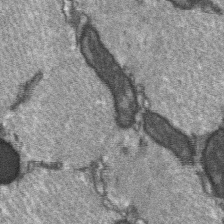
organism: C57BL Mouse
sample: Soleus